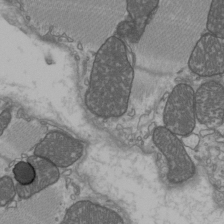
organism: C57BL Mouse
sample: Heart